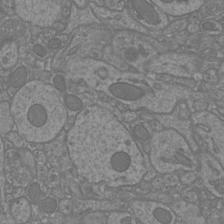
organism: Mouse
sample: Cortical neurons